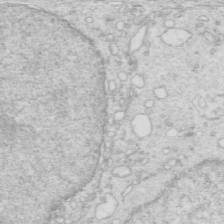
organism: Mouse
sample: Multiciliated cells